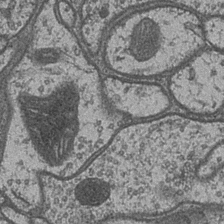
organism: Drosophila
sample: Optic medulla